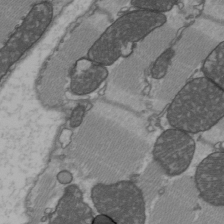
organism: C57BL Mouse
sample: Heart